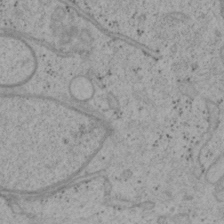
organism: Human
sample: HeLa cells